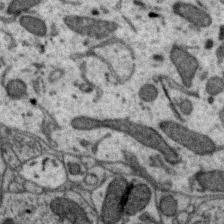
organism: Zebra finch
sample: Brain